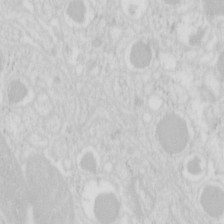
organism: Mouse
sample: Pancreas